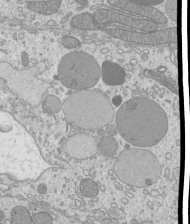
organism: Mouse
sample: Cilia; mouse epididymis